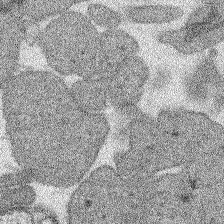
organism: Human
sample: HeLa cells